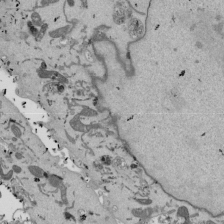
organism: Mouse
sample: ED-1 cell nuclei; centrioles